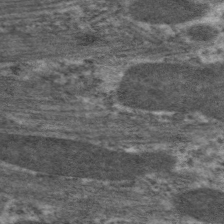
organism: C. elegans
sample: Pharynx